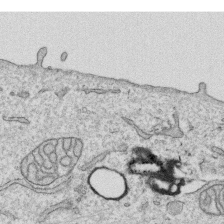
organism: Human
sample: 1205lu cells